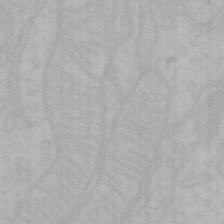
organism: Mouse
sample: Choroid plexus